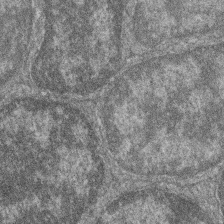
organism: Zebrafish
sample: Cilia; retinal pigment epithelium